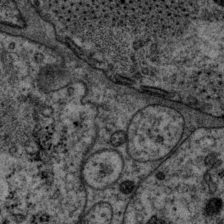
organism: P. pacificus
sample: Pharynx